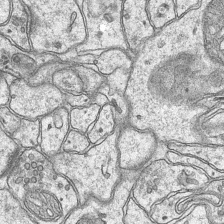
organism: Mouse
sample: CA1 Hippocampus